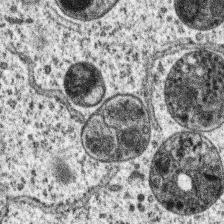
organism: Human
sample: HeLa cells